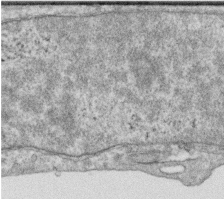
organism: Human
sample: Centriole in RPE cells